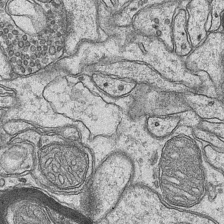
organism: Mouse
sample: CA1 Hippocampus